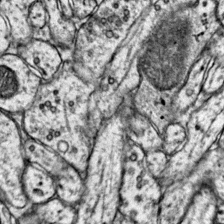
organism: Mouse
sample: Primary visual cortex